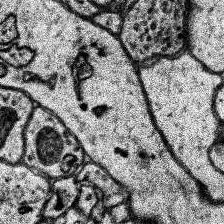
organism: Human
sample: Temporal Lobe